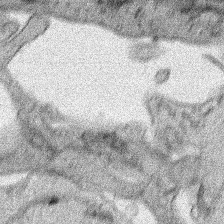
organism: Human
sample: Mitochondria in HCT116 cells